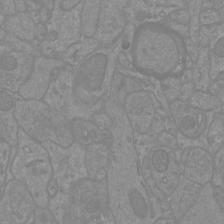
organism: Mouse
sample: Cortical neurons